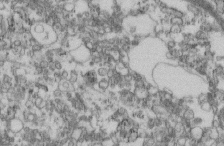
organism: Mouse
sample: Cilia; retinal pigment epithelium